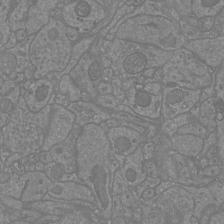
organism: Mouse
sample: Cortical neurons